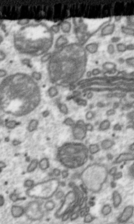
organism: Toxoplasma gondii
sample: Parasites in a vacuole inside a host cell